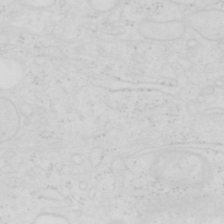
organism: Human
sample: SUM-159 cell